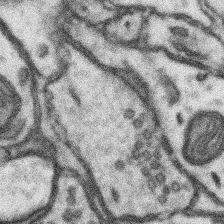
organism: Mouse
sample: Somatosensory cortex neuropil